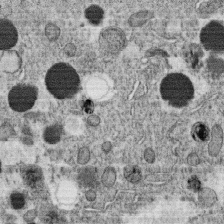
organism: C. elegans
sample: C. elegans oocyte; sperm cells